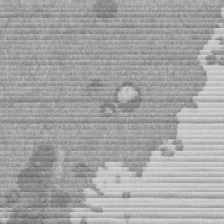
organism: Mouse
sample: Dividing mouse embryo 1 cell stage